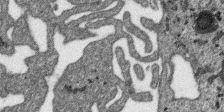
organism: Human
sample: Lung epithelial cells infected with SARS-CoV-2